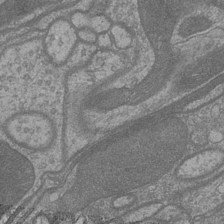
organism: Drosophila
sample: Optic medulla